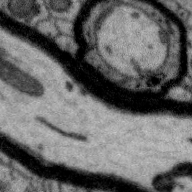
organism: Zebra finch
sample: Brain